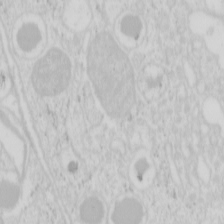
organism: Mouse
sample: Pancreas